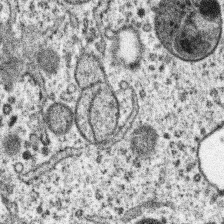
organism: Human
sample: HeLa cells